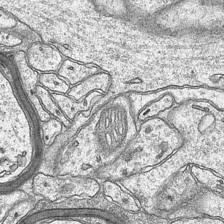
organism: Mouse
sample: CA1 Hippocampus